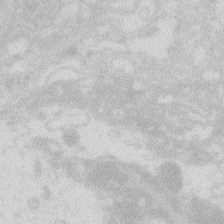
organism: Zebrafish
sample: Macrophage